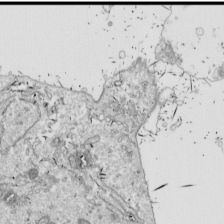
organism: Drosophila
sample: Cell division; meiosis; drosophila spermatocytes